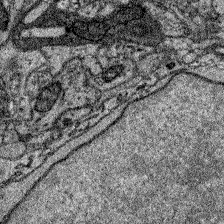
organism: Zebrafish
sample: Larval olfactory bulb